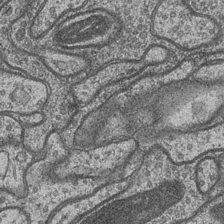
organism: Drosophila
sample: Optic medulla